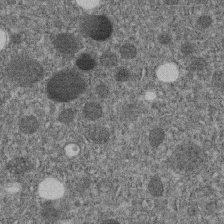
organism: C. elegans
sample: C. elegans embryo early stage